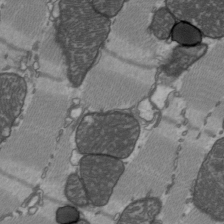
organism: C57BL Mouse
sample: Heart